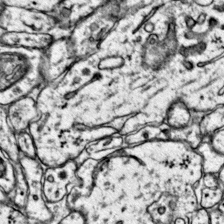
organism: Mouse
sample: Primary visual cortex